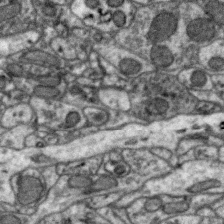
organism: Zebra finch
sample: Brain